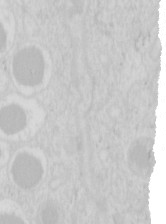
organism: Mouse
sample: Pancreas